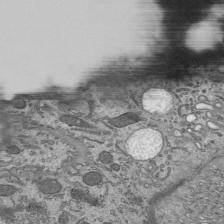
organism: Mouse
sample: Mouse epididymis efferent ductule cilia